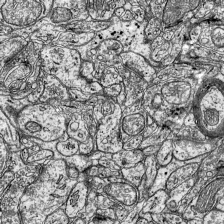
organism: Mouse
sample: Visual Cortex